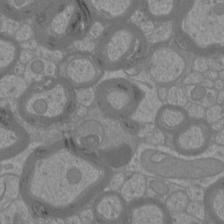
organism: Mouse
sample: Cortical neurons